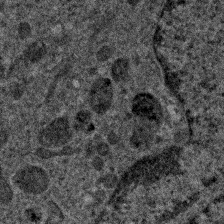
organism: Human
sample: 1205lu cells